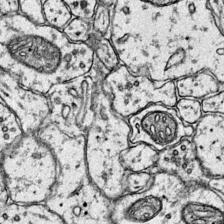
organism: Mouse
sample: Primary visual cortex